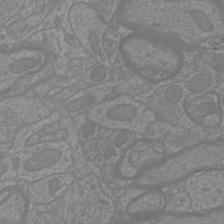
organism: Mouse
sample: Cortical neurons